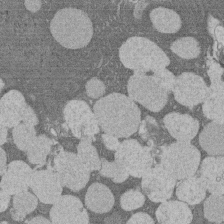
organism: Rat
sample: Salivary granule